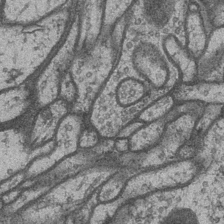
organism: Drosophila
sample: Optic medulla